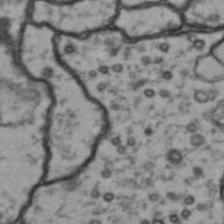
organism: Drosophila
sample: Brain